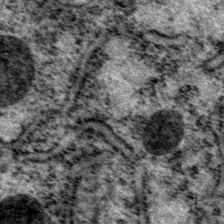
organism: P. pacificus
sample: Pharynx